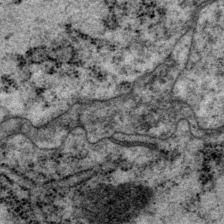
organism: P. pacificus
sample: Pharynx